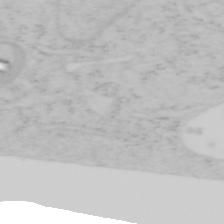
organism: Mouse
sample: OT-I killer T cells with ID8 ovarian cancer cells